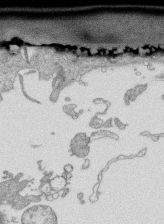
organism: Human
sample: HeLa cell HIV synapse